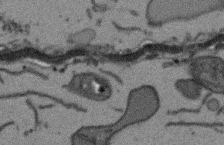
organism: Arabidopsis thaliana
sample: Root tip